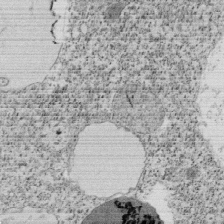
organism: Tetrahymena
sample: Cilia in tetrahymena